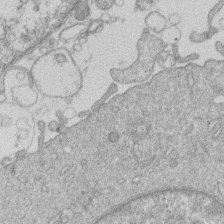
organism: Human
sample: Macrophage cells